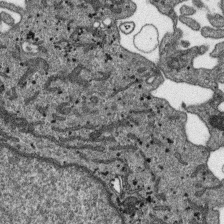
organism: Human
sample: Lung epithelial cells infected with SARS-CoV-2